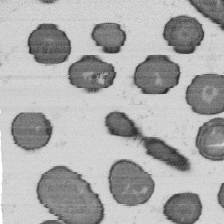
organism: B. subtilis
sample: Bacterial spore